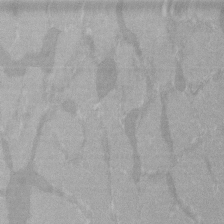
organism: C57BL Mouse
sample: Tibialis anterior muscle cell